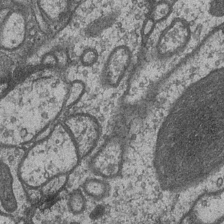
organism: Drosophila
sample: Optic medulla